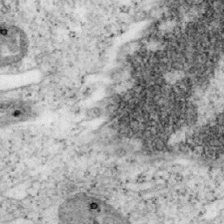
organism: Mouse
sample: OT-I killer T cells with ID8 ovarian cancer cells